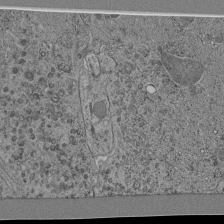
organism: C. elegans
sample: C. elegans pharynx